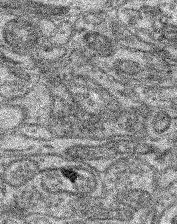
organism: Mouse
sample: Retina